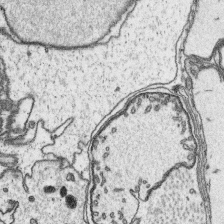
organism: Platynereis dumerilii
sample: Parapodia